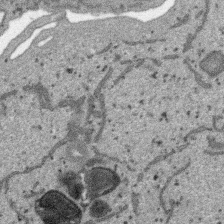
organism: Human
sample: Lung epithelial cells infected with SARS-CoV-2